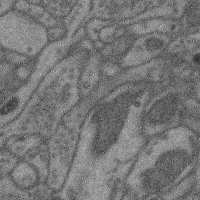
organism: Mouse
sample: Cerebral cortex